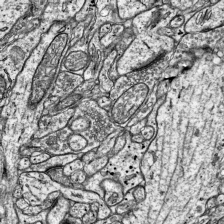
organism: Mouse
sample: Visual Cortex